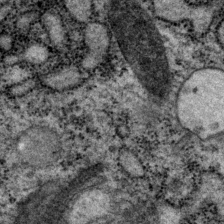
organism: P. pacificus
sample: Pharynx